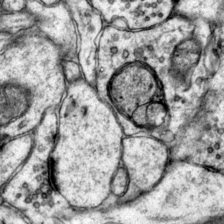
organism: Mouse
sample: Primary visual cortex